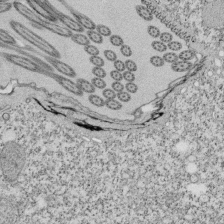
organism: Tetrahymena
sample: Cilia in tetrahymena